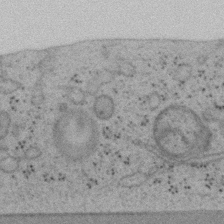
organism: Human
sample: HeLa cells